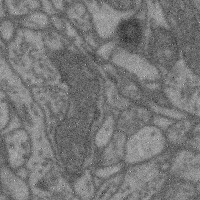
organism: Mouse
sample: Cerebral cortex